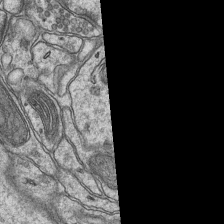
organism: Mouse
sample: CA1 Hippocampus